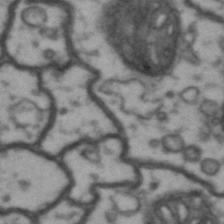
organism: Drosophila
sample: Brain